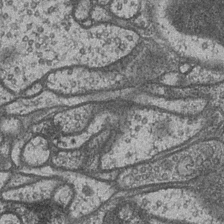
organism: Drosophila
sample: Optic medulla